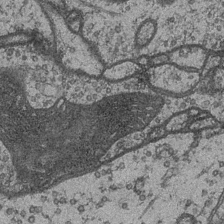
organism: Drosophila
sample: Optic medulla